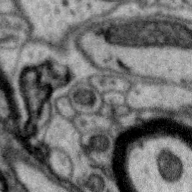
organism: Zebra finch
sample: Brain